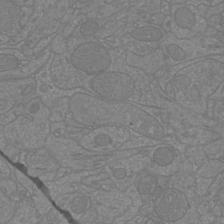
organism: Mouse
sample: Cortical neurons